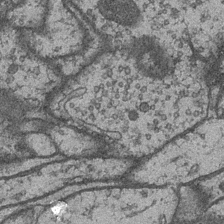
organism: Drosophila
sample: Optic medulla